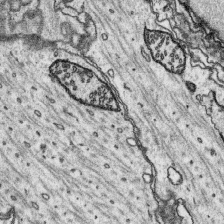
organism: Platynereis dumerilii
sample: Parapodia